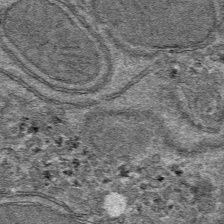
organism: Mouse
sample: Mouse hepatocytes